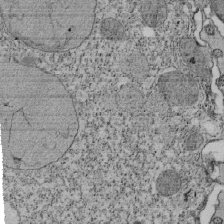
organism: Tetrahymena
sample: Cilia in tetrahymena